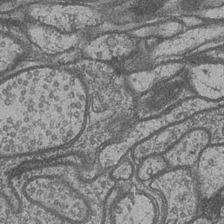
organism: Drosophila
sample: Optic medulla